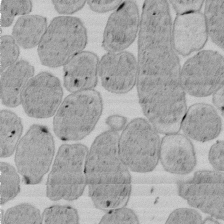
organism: E. coli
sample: Bacterial nucleoid